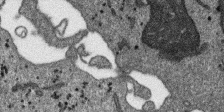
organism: Human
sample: Lung epithelial cells infected with SARS-CoV-2